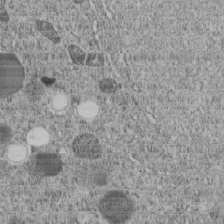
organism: C. elegans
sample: C. elegans embryo early stage